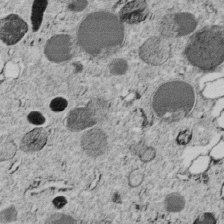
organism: C. elegans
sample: C. elegans embryo early stage